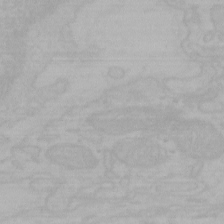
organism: Mouse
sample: Choroid plexus